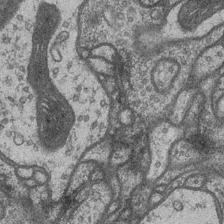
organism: Drosophila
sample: Optic medulla